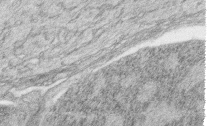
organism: Zebrafish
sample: synaptic ribbons in rod cells and cone cells